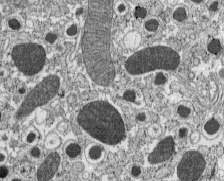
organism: C57BL Mouse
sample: Pancreatic islet